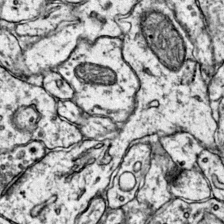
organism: Mouse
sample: Primary visual cortex